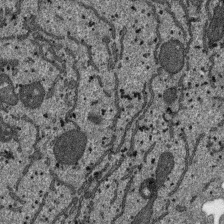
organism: Human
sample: Lung epithelial cells infected with SARS-CoV-2